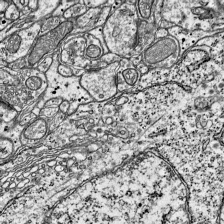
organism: Mouse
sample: Visual Cortex